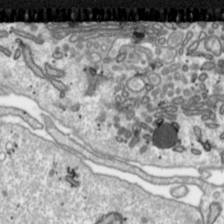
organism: Toxoplasma gondii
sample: Parasites in a vacuole inside a host cell